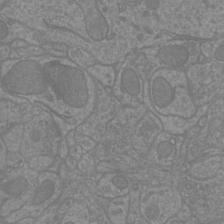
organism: Mouse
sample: Cortical neurons